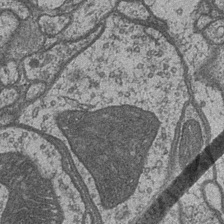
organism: Drosophila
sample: Optic medulla